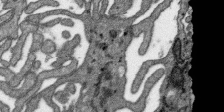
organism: Human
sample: Lung epithelial cells, uninfected (mock) control